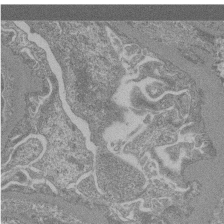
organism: Mouse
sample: Glomerulus